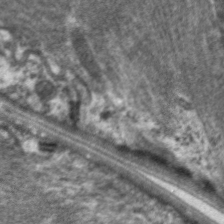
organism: C. elegans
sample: Pharynx